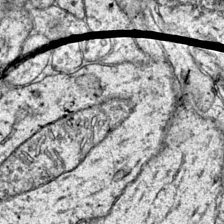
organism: Mouse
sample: Primary visual cortex